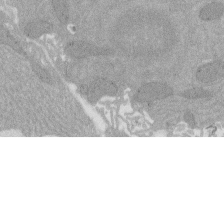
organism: Rat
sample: Salivary granule